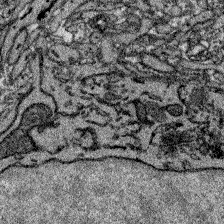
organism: Zebrafish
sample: Larval olfactory bulb